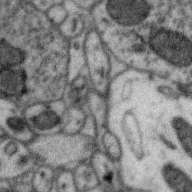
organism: Zebra finch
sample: Brain